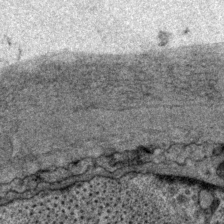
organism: P. pacificus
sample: Pharynx